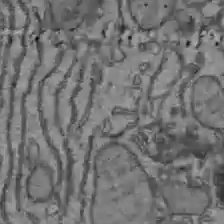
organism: C57BL Mouse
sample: Liver